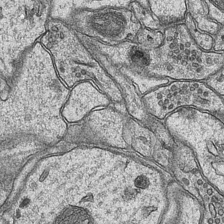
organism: Mouse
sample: CA1 Hippocampus